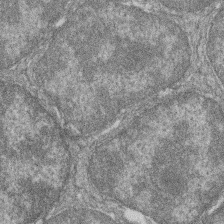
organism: Zebrafish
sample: Cilia; retinal pigment epithelium